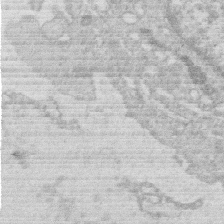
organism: Human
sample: Macrophage cells